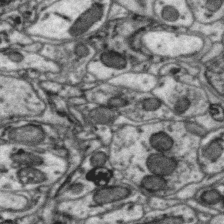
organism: Zebra finch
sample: Brain